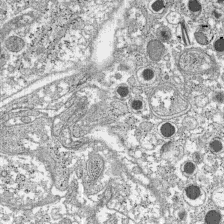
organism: C57BL Mouse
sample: Pancreatic islet